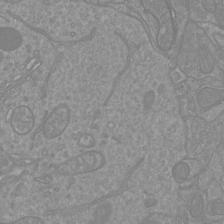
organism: Mouse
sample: Cortical neurons